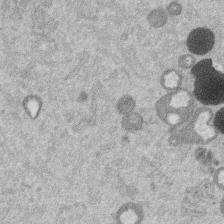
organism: Mouse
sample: Dividing mouse embryo 1 cell stage